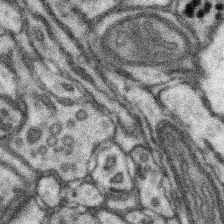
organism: Mouse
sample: Somatosensory cortex neuropil